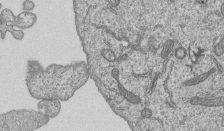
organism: Human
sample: MDA-MB-231 cells